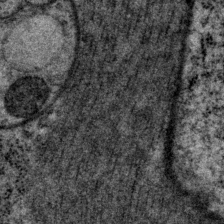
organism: P. pacificus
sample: Pharynx